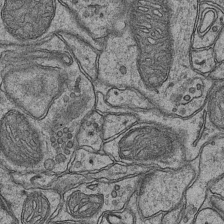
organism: Mouse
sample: CA1 Hippocampus